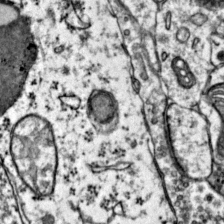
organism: Mouse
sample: Primary visual cortex